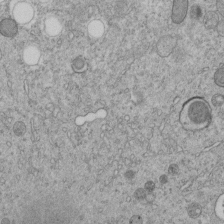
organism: C. elegans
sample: C. elegans embryo early stage